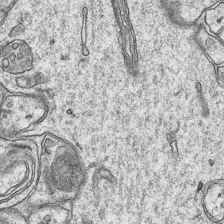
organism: Mouse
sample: CA1 Hippocampus